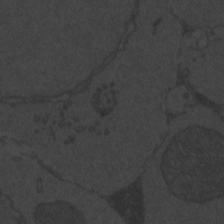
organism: Zebrafish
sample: Macrophage infected with Toxoplasma gondii